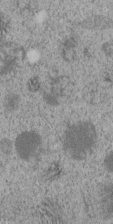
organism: C. elegans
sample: C. elegans embryo early stage